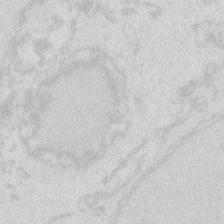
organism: Zebrafish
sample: Macrophage